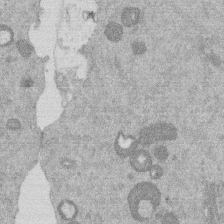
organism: Mouse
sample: Dividing mouse embryo 1 cell stage